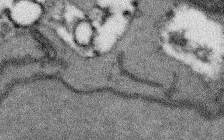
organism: Arabidopsis thaliana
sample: Root tip